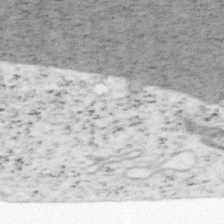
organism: Mouse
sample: OT-I killer T cells with ID8 ovarian cancer cells